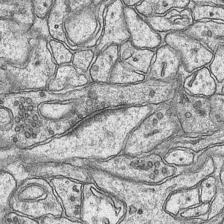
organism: Mouse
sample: CA1 Hippocampus